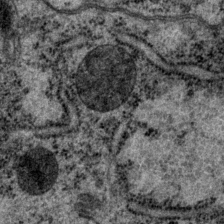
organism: P. pacificus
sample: Pharynx